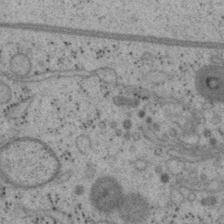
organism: Human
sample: HeLa cells